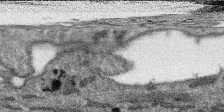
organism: Human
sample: Lung epithelial cells infected with SARS-CoV-2